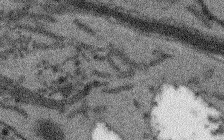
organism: Arabidopsis thaliana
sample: Root tip